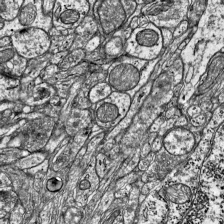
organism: Mouse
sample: Visual Cortex